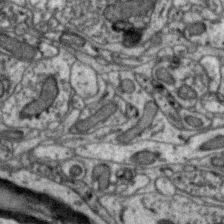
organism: Zebra finch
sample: Brain